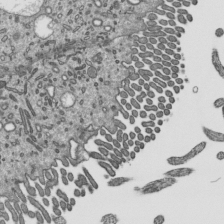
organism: Mouse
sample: Mouse epididymis efferent ductule cilia